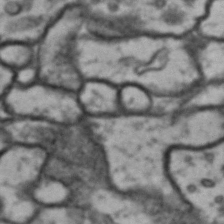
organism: Drosophila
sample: Brain